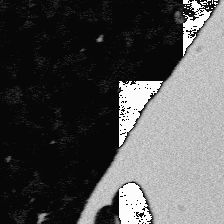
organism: Platynereis dumerilii